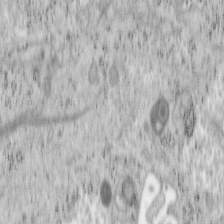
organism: Human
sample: HeLa cells